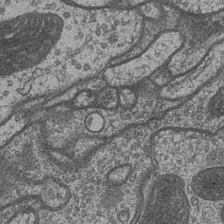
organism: Drosophila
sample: Optic medulla